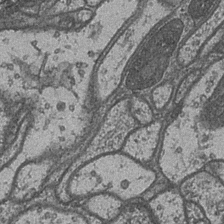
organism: Drosophila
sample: Optic medulla